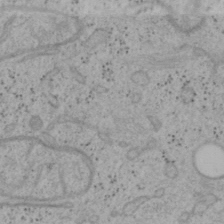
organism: Human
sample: HeLa cells